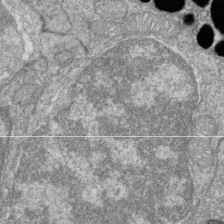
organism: Zebrafish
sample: Cilia; retinal pigment epithelium